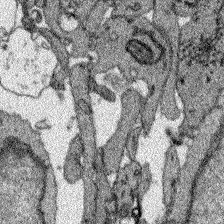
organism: Zebrafish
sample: Larval olfactory bulb